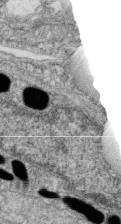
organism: Zebrafish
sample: Cilia; retinal pigment epithelium